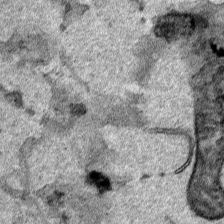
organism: Human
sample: Mitochondria in HCT116 cells